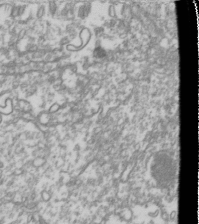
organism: Drosophila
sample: Cell division; meiosis; drosophila spermatocytes